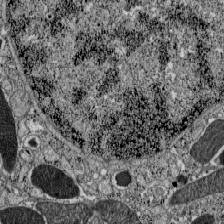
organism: C57BL Mouse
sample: Pancreatic islet